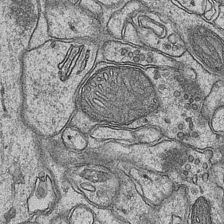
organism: Mouse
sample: CA1 Hippocampus